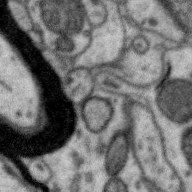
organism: Zebra finch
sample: Brain